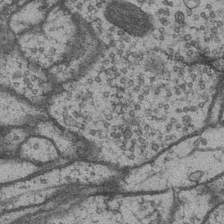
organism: Drosophila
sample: Optic medulla